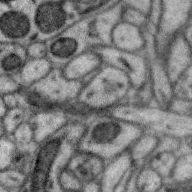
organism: Zebra finch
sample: Brain